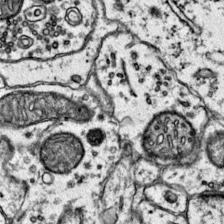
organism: Mouse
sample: Primary visual cortex